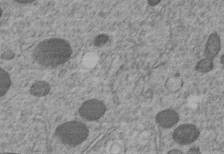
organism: C. elegans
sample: C. elegans embryo early stage